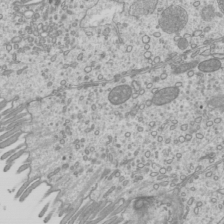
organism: Mouse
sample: Cilia; mouse epididymis